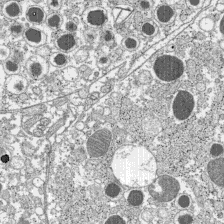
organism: C57BL Mouse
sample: Pancreatic islet